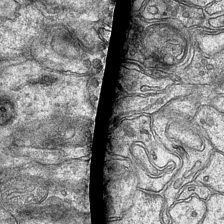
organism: Mouse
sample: CA1 Hippocampus